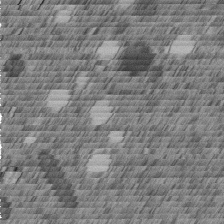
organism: C. elegans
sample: C. elegans embryo early stage